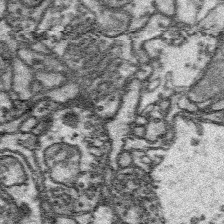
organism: Platynereis dumerilii